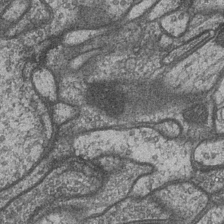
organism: Drosophila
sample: Optic medulla